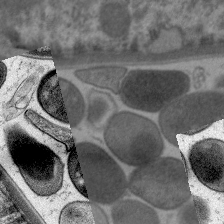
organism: C. elegans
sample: Pharynx